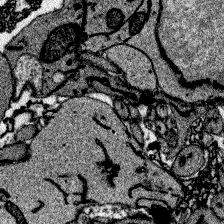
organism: Zebrafish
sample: Larval olfactory bulb